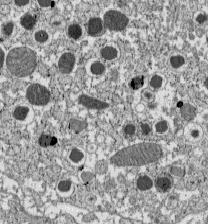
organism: C57BL Mouse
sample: Pancreatic islet